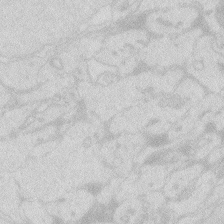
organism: Zebrafish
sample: Macrophage